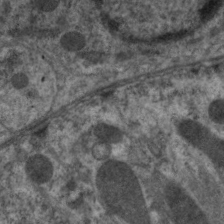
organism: C. elegans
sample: Pharynx